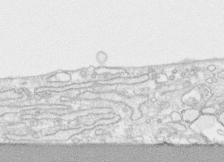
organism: Human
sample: CRL-1474